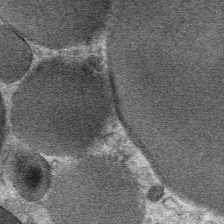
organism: Mouse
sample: Mouse Salivary gland